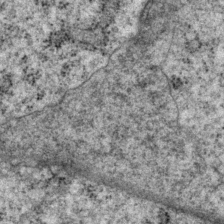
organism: P. pacificus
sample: Pharynx